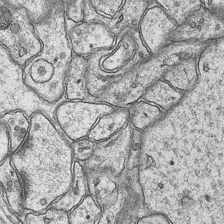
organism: Mouse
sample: CA1 Hippocampus